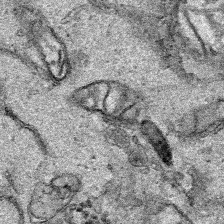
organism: Human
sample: Mitochondria in HCT116 cells